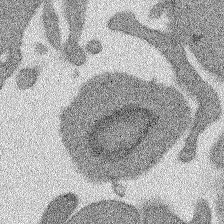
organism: Human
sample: HeLa cells